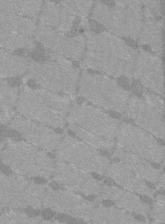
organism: C57BL Mouse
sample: Tibialis anterior muscle cell